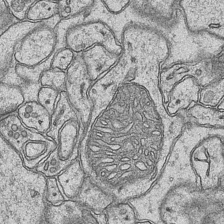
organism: Mouse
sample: CA1 Hippocampus